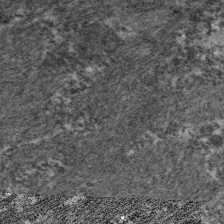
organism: C. elegans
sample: Pharynx